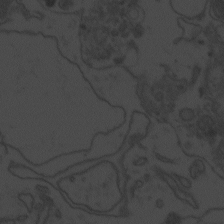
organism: Zebrafish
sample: Macrophage infected with Toxoplasma gondii